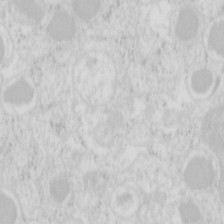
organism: Mouse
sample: Pancreas